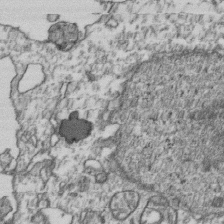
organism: Human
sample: Activated Jurkat CD4+ T cells